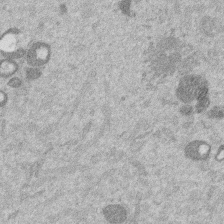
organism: Mouse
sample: Dividing mouse embryo 1 cell stage